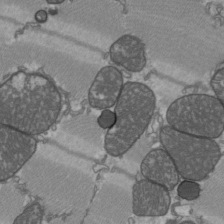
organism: C57BL Mouse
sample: Heart